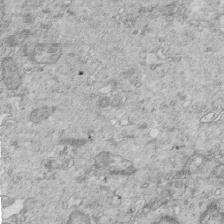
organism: Mouse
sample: Multiciliated cells